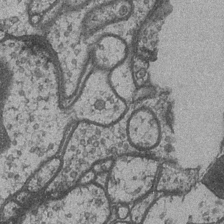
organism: Drosophila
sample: Optic medulla